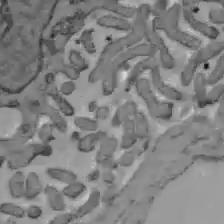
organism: C57BL Mouse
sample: Liver